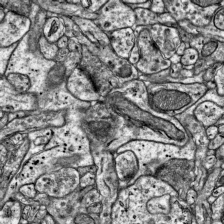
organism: Mouse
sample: Visual Cortex